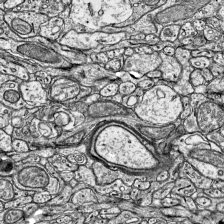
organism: Mouse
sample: Visual Cortex